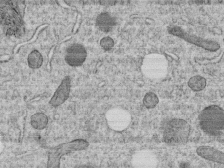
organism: C. elegans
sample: C. elegans embryo early stage